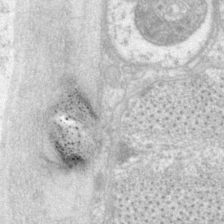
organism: P. pacificus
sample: Pharynx